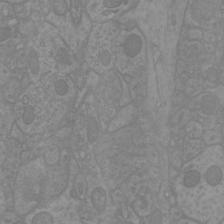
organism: Mouse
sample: Cortical neurons